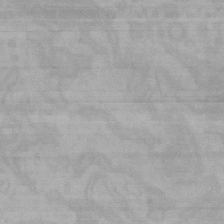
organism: Mouse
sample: Choroid plexus